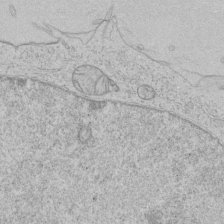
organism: Human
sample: Mitochondria in HCT116 cells